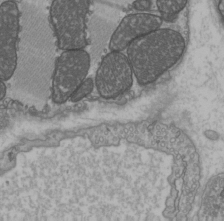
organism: C57BL Mouse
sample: Heart